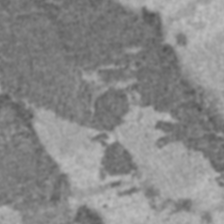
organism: C57BL Mouse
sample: Heart